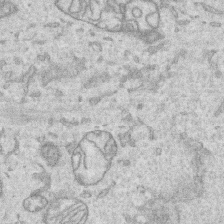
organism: Human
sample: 1205lu cells